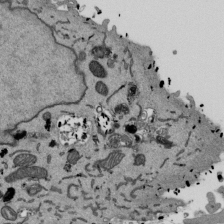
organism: Mouse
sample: ED-1 cell nuclei; centrioles